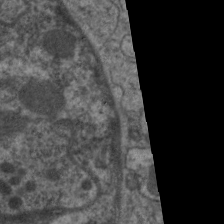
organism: C. elegans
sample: Pharynx